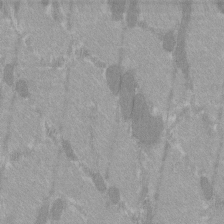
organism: C57BL Mouse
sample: Tibialis anterior muscle cell